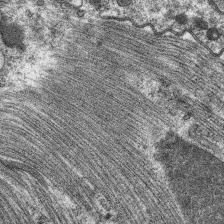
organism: C. elegans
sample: Pharynx